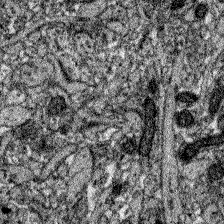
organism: Zebrafish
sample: Larval olfactory bulb